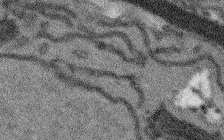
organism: Arabidopsis thaliana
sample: Root tip